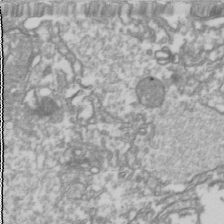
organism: Drosophila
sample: Cell division; meiosis; drosophila spermatocytes